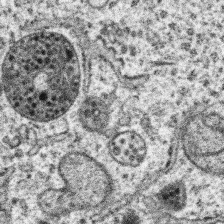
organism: Human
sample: HeLa cells